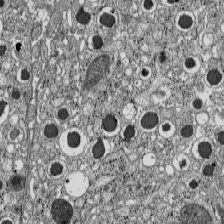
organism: C57BL Mouse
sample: Pancreatic islet